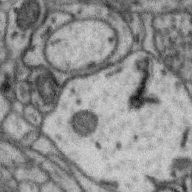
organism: Zebra finch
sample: Brain